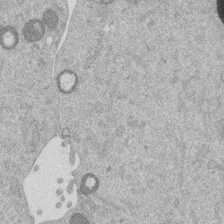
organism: Mouse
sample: Dividing mouse embryo 1 cell stage